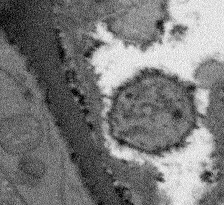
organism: Arabidopsis thaliana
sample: Root tip